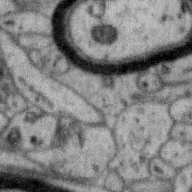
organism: Zebra finch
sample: Brain